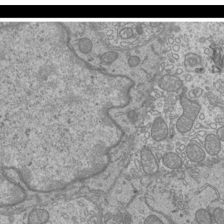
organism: Mouse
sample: Cilia; mouse epididymis